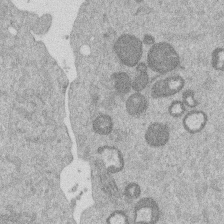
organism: Mouse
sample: Dividing mouse embryo 1 cell stage